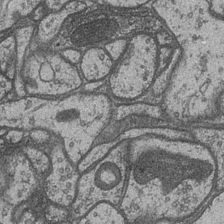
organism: Drosophila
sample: Optic medulla